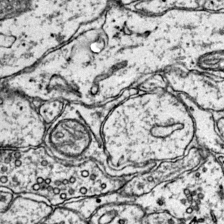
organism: Mouse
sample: Primary visual cortex